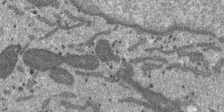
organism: Human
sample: Lung epithelial cells infected with SARS-CoV-2